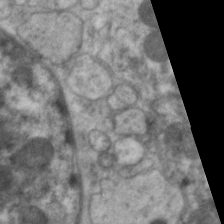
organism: C. elegans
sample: Pharynx